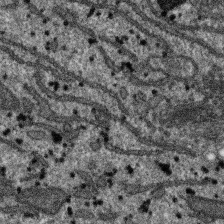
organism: Human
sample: Lung epithelial cells infected with SARS-CoV-2